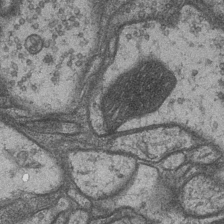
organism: Drosophila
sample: Optic medulla